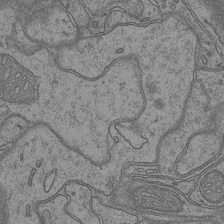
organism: Mouse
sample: CA1 Hippocampus